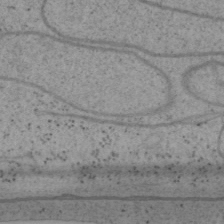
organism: Human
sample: HeLa cells